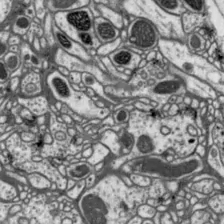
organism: Drosophila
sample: Protocerebral bridge